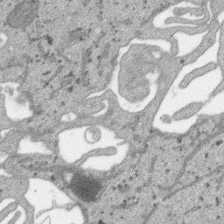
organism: Human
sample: Lung epithelial cells infected with SARS-CoV-2